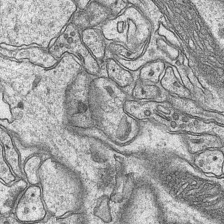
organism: Mouse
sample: CA1 Hippocampus